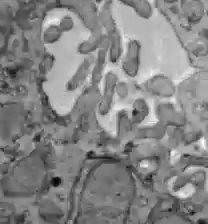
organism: C57BL Mouse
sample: Liver